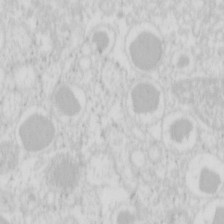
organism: Mouse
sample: Pancreas